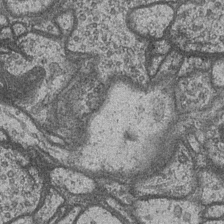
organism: Drosophila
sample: Optic medulla